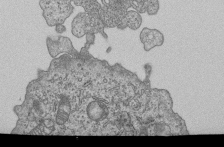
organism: Human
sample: MDA-MB-231 cells